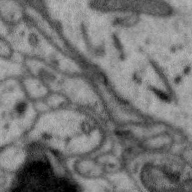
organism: Zebra finch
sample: Brain